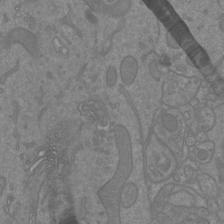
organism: Mouse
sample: Cortical neurons